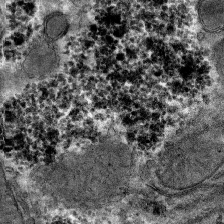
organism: Mouse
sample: Mouse hepatocytes